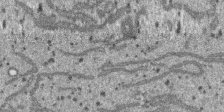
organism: Human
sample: Lung epithelial cells infected with SARS-CoV-2